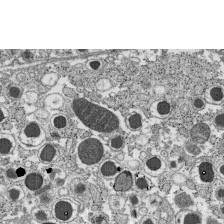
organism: C57BL Mouse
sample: Pancreatic islet